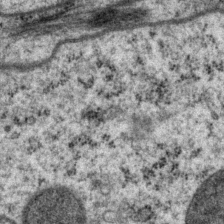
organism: P. pacificus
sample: Pharynx